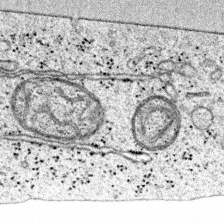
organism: Human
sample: HeLa cells